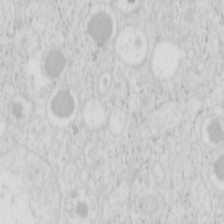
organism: Mouse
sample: Pancreas